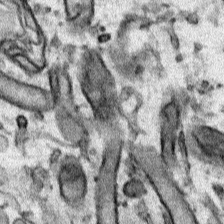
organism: Human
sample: Mitochondria in HCT116 cells